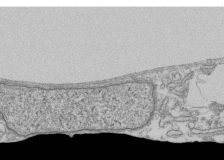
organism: Human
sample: Fibroblast cells